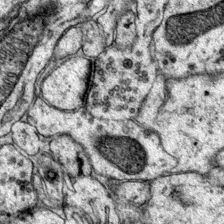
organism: Mouse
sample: Primary visual cortex